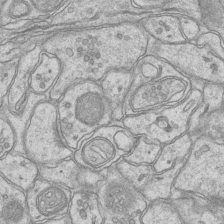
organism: Mouse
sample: CA1 Hippocampus